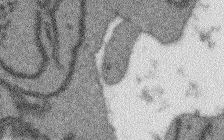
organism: Arabidopsis thaliana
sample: Root tip